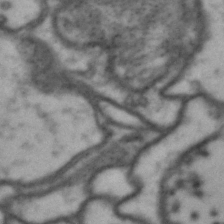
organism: Drosophila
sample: Brain